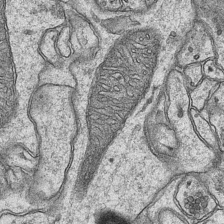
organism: Mouse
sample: CA1 Hippocampus